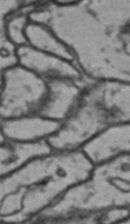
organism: Drosophila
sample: Brain